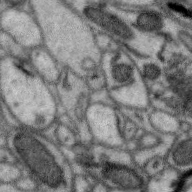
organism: Zebra finch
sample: Brain